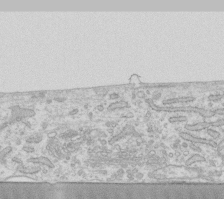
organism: Human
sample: Fibroblast cells